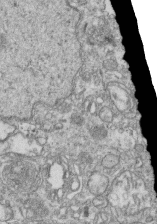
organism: Human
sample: HeLa cell HIV synapse